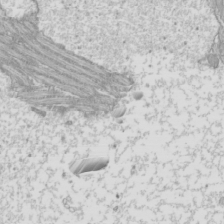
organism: Mouse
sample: Cilia; mouse epididymis